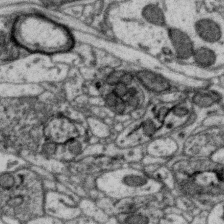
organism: Zebra finch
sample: Brain